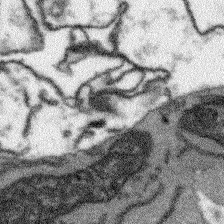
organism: Arabidopsis thaliana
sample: Root tip